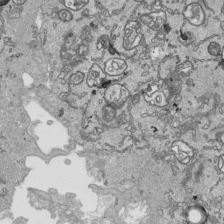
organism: Human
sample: Mitochondria in HCT116 cells